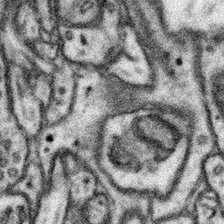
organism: Mouse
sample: Somatosensory cortex neuropil